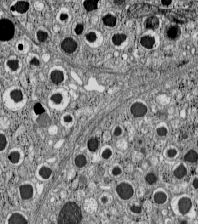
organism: C57BL Mouse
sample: Pancreatic islet